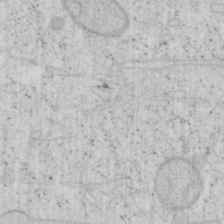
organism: Human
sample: HeLa cells